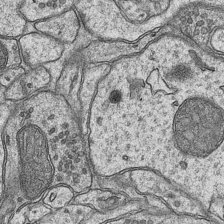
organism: Mouse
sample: CA1 Hippocampus